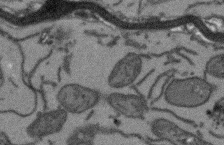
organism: Arabidopsis thaliana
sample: Root tip